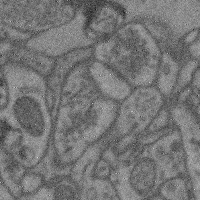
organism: Mouse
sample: Cerebral cortex